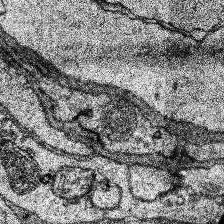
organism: Human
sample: Temporal Lobe